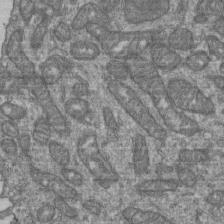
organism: Human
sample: Retinal organoid Rod and Cone cells